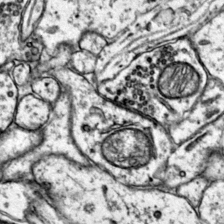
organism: Mouse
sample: Primary visual cortex